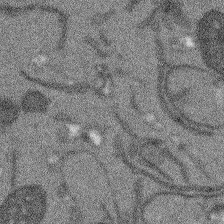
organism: Arabidopsis thaliana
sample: Root tip